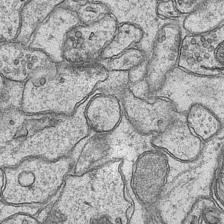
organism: Mouse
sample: CA1 Hippocampus